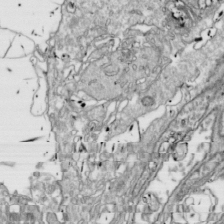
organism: Drosophila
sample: Cell division; meiosis; drosophila spermatocytes